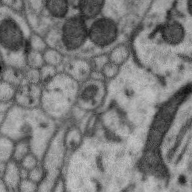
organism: Zebra finch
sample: Brain